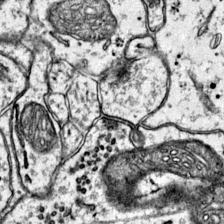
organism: Mouse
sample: Primary visual cortex